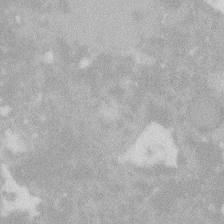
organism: Zebrafish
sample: Macrophage